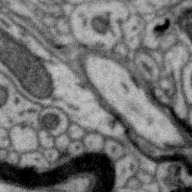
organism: Zebra finch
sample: Brain